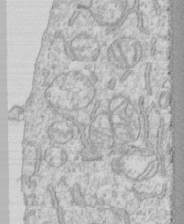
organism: Human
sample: CRL-1474